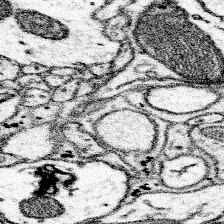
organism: Mouse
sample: Somatosensory cortex neuropil